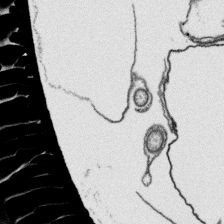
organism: Platynereis dumerilii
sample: Parapodia